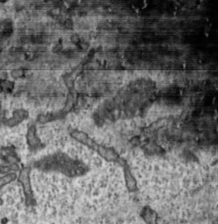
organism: Toxoplasma gondii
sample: Parasites in a vacuole inside a host cell